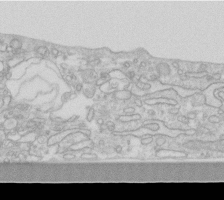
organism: Human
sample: Fibroblast cells